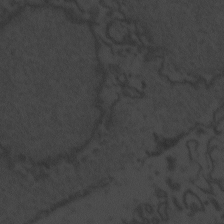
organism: Zebrafish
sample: Macrophage infected with Toxoplasma gondii